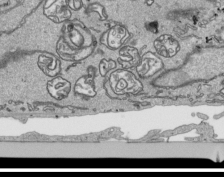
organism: Human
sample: Mitochondria in HCT116 cells